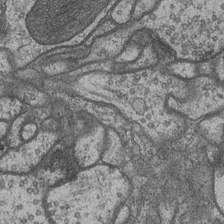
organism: Drosophila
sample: Optic medulla